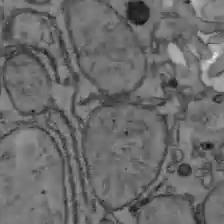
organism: C57BL Mouse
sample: Liver